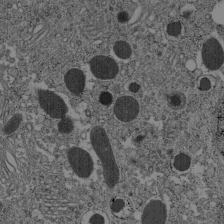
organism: C57BL Mouse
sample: Pancreatic islet